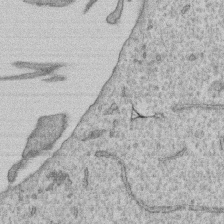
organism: Human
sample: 1205lu cells